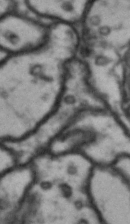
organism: Drosophila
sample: Brain